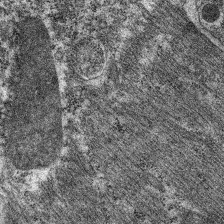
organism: C. elegans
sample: Pharynx